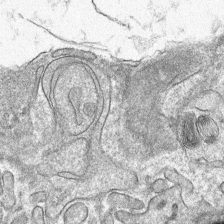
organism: Mouse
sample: Mouse hepatocytes